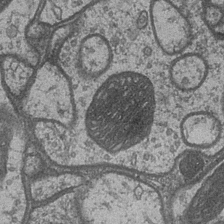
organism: Drosophila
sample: Optic medulla